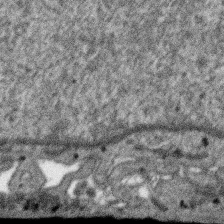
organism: Human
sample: Lung epithelial cells infected with SARS-CoV-2